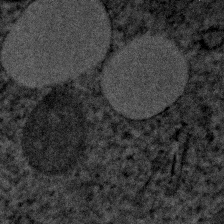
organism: Human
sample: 1205lu cells